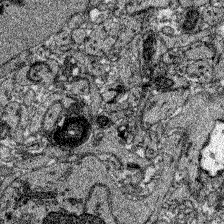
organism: Zebrafish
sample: Larval olfactory bulb